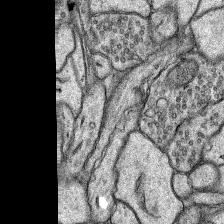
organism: Rat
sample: Hippocampus